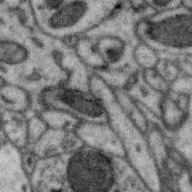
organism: Zebra finch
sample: Brain